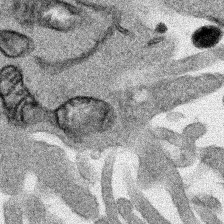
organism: Human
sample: Mitochondria in HCT116 cells